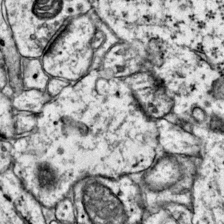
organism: Mouse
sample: Primary visual cortex